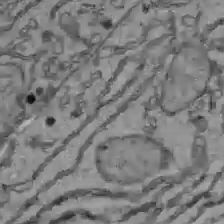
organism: C57BL Mouse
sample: Liver